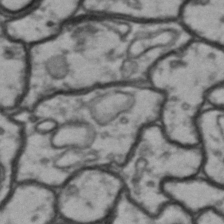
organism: Drosophila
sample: Brain